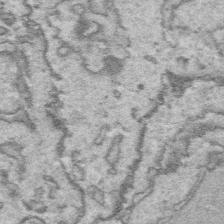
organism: Platynereis dumerilii